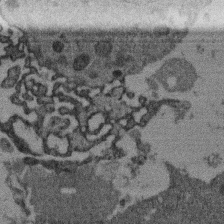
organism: Mouse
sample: Dividing mouse embryo 1 cell stage